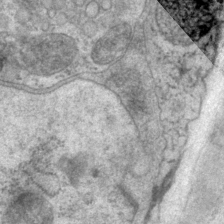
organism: P. pacificus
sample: Pharynx